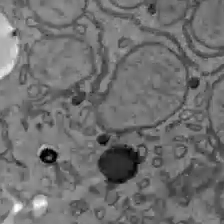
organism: C57BL Mouse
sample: Liver